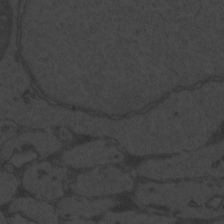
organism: Zebrafish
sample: Macrophage infected with Toxoplasma gondii